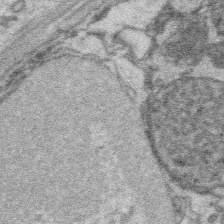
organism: Platynereis dumerilii